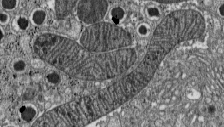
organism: C57BL Mouse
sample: Pancreatic islet